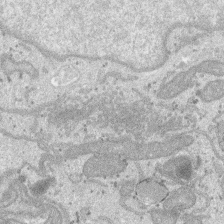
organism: Human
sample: Lung epithelial cells infected with SARS-CoV-2